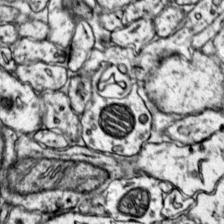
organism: Mouse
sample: Primary visual cortex